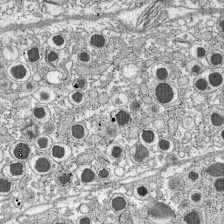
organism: C57BL Mouse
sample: Pancreatic islet